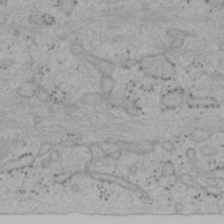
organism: Human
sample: HeLa cells